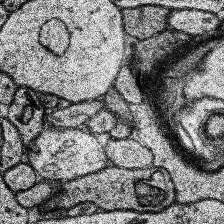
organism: Human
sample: Temporal Lobe